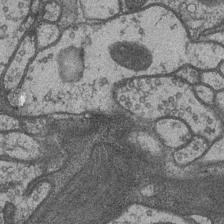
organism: Drosophila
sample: Optic medulla